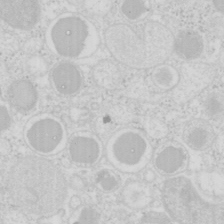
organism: Mouse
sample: Pancreas